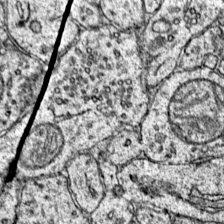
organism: Mouse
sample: Primary visual cortex